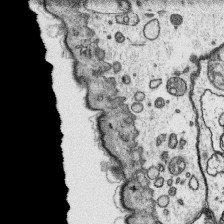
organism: Platynereis dumerilii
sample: Parapodia